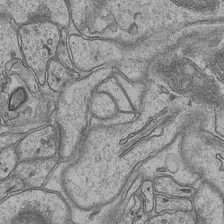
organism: Mouse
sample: CA1 Hippocampus